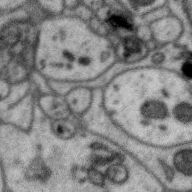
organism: Zebra finch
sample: Brain